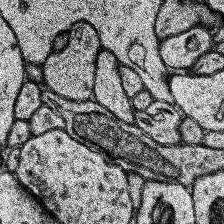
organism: Human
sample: Temporal Lobe